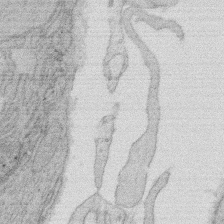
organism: Rat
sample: Salivary granule